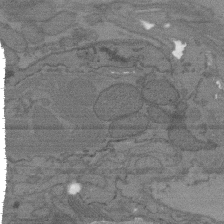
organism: C. elegans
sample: AFD neurons C. elegans